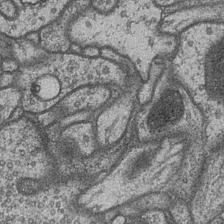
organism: Drosophila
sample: Optic medulla